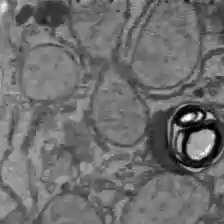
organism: C57BL Mouse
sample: Liver